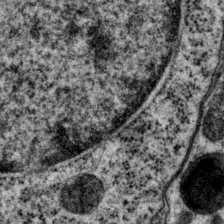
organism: P. pacificus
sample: Pharynx